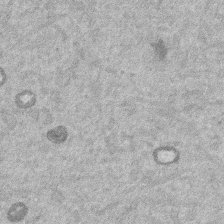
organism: Mouse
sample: Dividing mouse embryo 1 cell stage